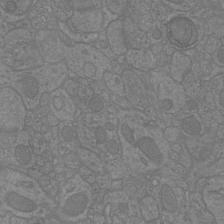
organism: Mouse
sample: Cortical neurons